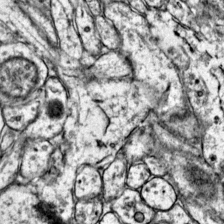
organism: Mouse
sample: Primary visual cortex